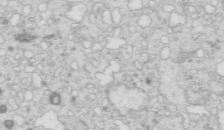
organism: Mouse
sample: Multiciliated cells